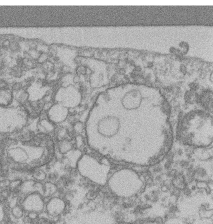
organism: Mouse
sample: T cell stromal cell synapse